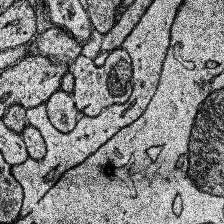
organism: Human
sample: Temporal Lobe